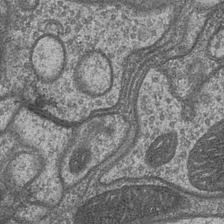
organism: Drosophila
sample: Optic medulla